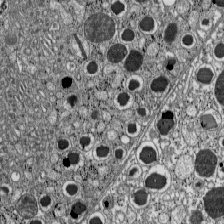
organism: C57BL Mouse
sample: Pancreatic islet